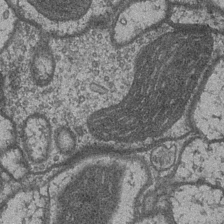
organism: Drosophila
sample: Optic medulla